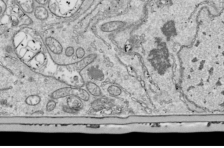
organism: Drosophila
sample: Cell division; meiosis; drosophila spermatocytes